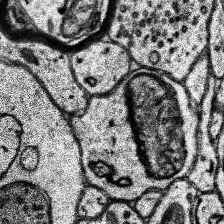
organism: Human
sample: Temporal Lobe